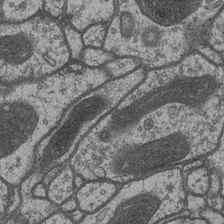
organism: Drosophila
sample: Optic medulla